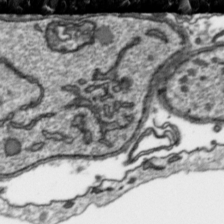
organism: Toxoplasma gondii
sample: Parasites in a vacuole inside a host cell